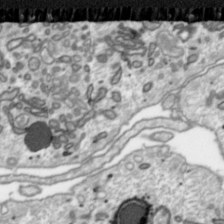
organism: Toxoplasma gondii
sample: Parasites in a vacuole inside a host cell